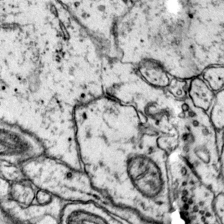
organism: Mouse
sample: Primary visual cortex